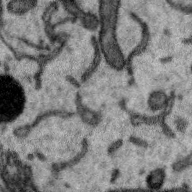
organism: Zebra finch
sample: Brain